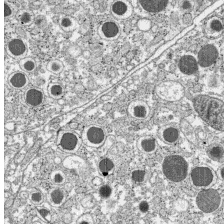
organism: C57BL Mouse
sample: Pancreatic islet